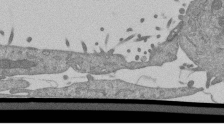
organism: Mouse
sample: ED-1 cell nuclei; centrioles